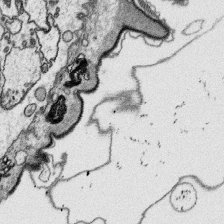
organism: Platynereis dumerilii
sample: Parapodia